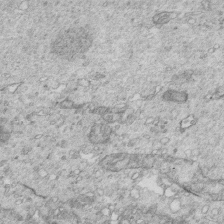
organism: Mouse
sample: Multiciliated cells